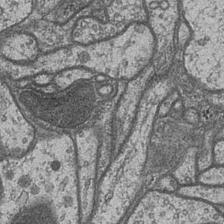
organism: Drosophila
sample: Optic medulla